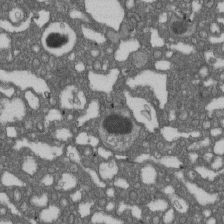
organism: Drosophila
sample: Nephrocyte